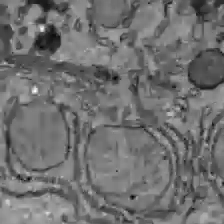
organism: C57BL Mouse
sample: Liver